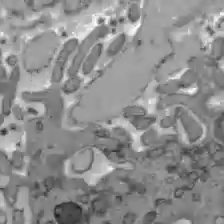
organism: C57BL Mouse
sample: Liver